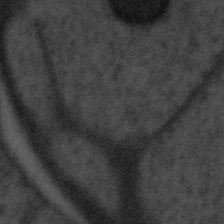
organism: Tuwongella immobilis